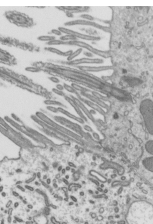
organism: Mouse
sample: Mouse epididymis efferent ductule cilia